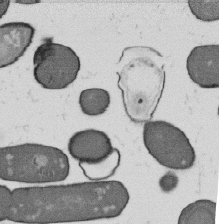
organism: B. subtilis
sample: Bacterial spore